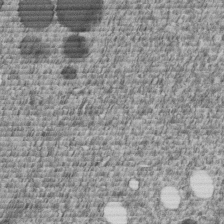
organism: C. elegans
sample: C. elegans embryo early stage